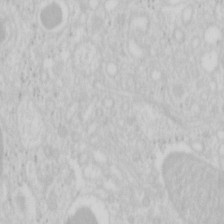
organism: Mouse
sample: Pancreas